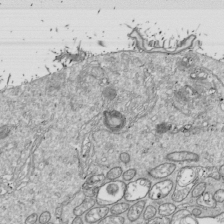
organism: Drosophila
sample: Cell division; meiosis; drosophila spermatocytes